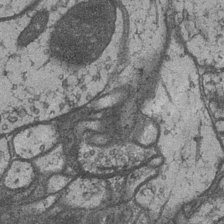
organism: Drosophila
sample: Optic medulla